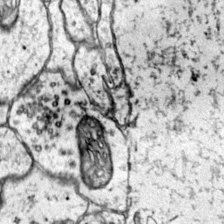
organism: Mouse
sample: Primary visual cortex